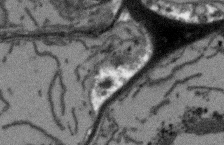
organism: Arabidopsis thaliana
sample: Root tip